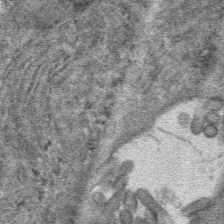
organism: Mouse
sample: Mouse hepatocytes